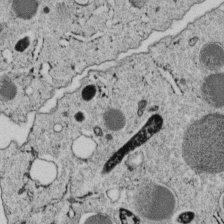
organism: C. elegans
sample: C. elegans embryo early stage